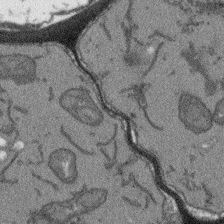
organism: Arabidopsis thaliana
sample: Root tip